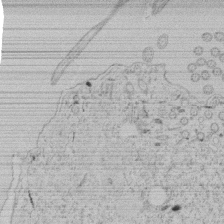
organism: Tetrahymena